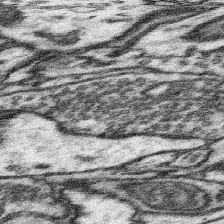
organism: Mouse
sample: Somatosensory cortex neuropil